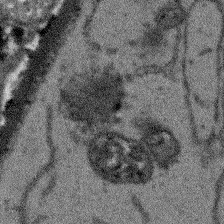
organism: Arabidopsis thaliana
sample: Root tip